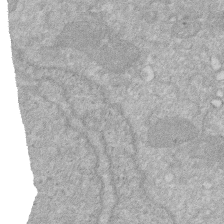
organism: Human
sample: HIV infected U937 cells